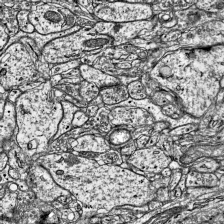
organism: Mouse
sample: Visual Cortex